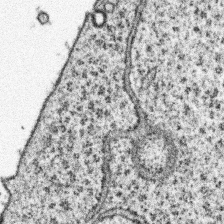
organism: Human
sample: HeLa cells